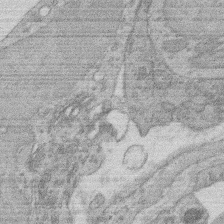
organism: Rat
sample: Salivary granule